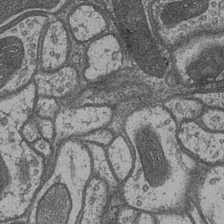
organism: Drosophila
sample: Optic medulla